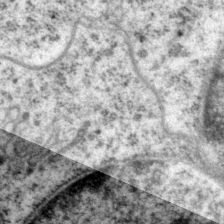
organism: P. pacificus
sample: Pharynx